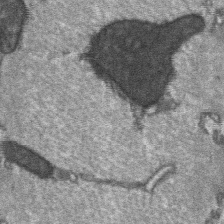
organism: C57BL Mouse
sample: Soleus